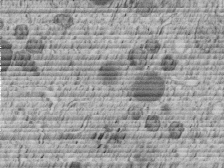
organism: C. elegans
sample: C. elegans embryo early stage